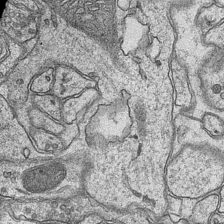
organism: Mouse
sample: CA1 Hippocampus